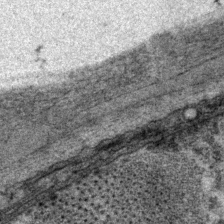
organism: P. pacificus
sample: Pharynx